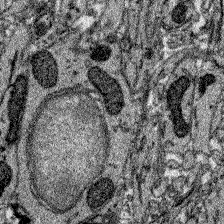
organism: Zebrafish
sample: Larval olfactory bulb